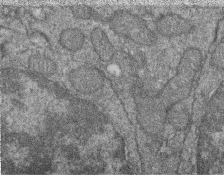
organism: Zebrafish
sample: Cilia; retinal pigment epithelium